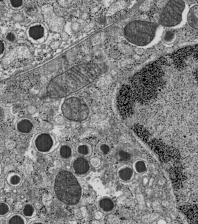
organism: C57BL Mouse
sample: Pancreatic islet